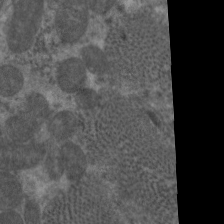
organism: C. elegans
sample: Pharynx